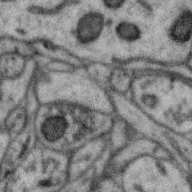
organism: Zebra finch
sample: Brain